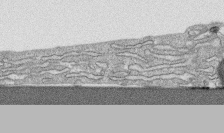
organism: Human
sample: CRL-1474